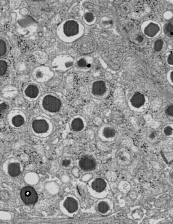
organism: C57BL Mouse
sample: Pancreatic islet